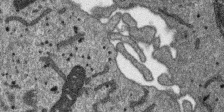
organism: Human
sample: Lung epithelial cells infected with SARS-CoV-2